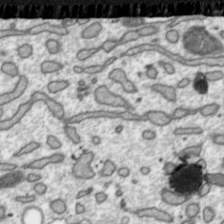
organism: Toxoplasma gondii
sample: Parasites in a vacuole inside a host cell